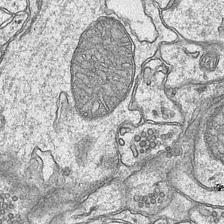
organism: Mouse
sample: CA1 Hippocampus